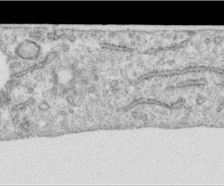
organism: Human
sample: Centriole in RPE cells